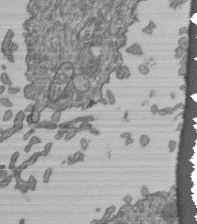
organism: Human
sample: Retinal organoid Rod and Cone cells